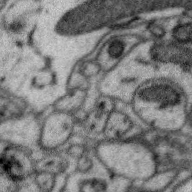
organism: Zebra finch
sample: Brain